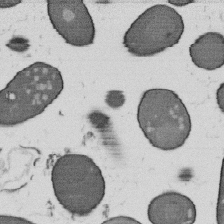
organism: B. subtilis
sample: Bacterial spore